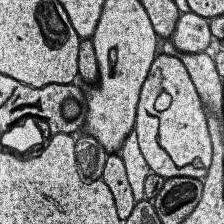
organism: Human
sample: Temporal Lobe